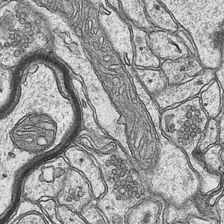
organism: Mouse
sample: CA1 Hippocampus